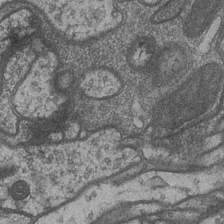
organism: Drosophila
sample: Optic medulla